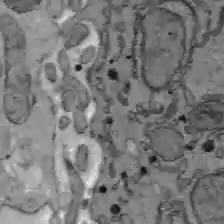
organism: C57BL Mouse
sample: Liver